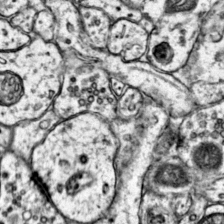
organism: Mouse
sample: Primary visual cortex